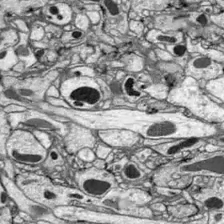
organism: Drosophila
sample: Optic lobe